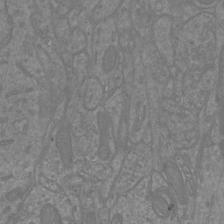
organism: Mouse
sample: Cortical neurons